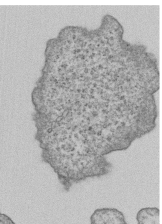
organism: Human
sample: MDA-MB-231 cells